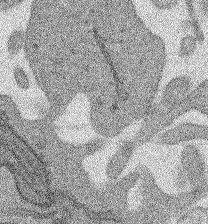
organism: Human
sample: HeLa cells